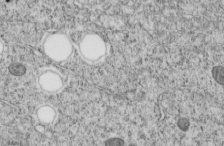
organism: C. elegans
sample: C. elegans embryo early stage